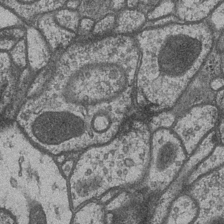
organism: Drosophila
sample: Optic medulla